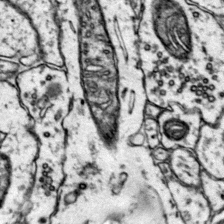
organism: Mouse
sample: Primary visual cortex